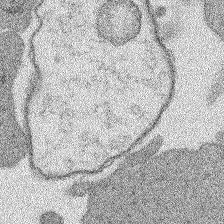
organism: Human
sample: HeLa cells